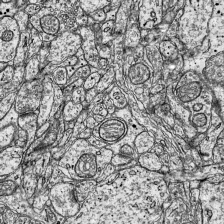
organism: Mouse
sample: Visual Cortex